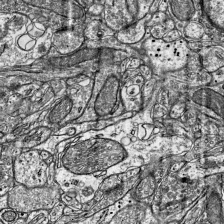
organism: Mouse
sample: Visual Cortex